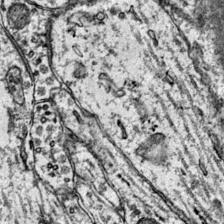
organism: Mouse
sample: Primary visual cortex